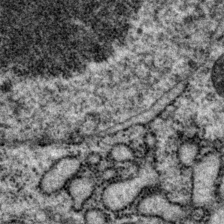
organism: P. pacificus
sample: Pharynx